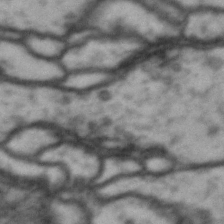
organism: Drosophila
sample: Brain